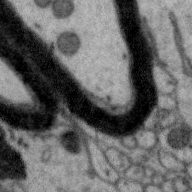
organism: Zebra finch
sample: Brain